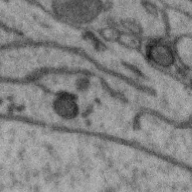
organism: Zebra finch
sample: Brain